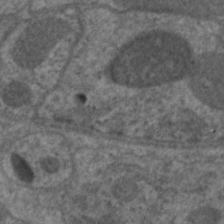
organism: C. elegans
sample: Pharynx